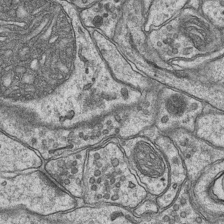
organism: Mouse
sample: CA1 Hippocampus